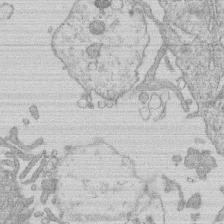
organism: Human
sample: Macrophage cells